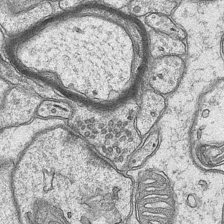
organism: Mouse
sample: CA1 Hippocampus